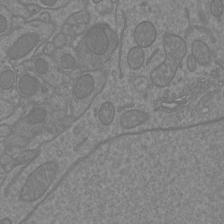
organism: Mouse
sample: Cortical neurons